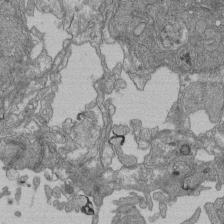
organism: Human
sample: Retinal organoid Rod and Cone cells